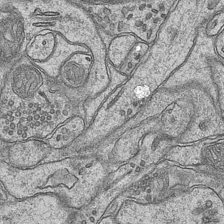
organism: Mouse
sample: CA1 Hippocampus